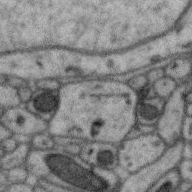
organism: Zebra finch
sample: Brain